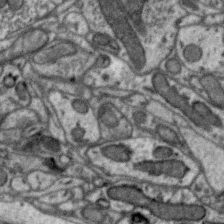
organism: Zebra finch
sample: Brain